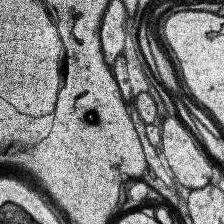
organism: Human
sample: Temporal Lobe